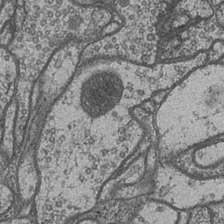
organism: Drosophila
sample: Optic medulla